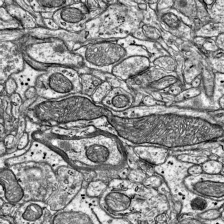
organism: Mouse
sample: Visual Cortex